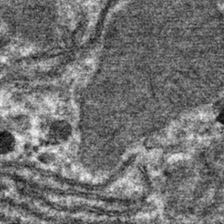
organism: Mouse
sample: Mouse hepatocytes